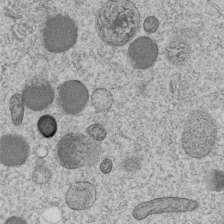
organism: C. elegans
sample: C. elegans embryo early stage